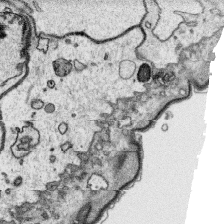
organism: Platynereis dumerilii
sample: Parapodia